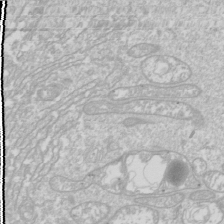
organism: Drosophila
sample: Cell division; meiosis; drosophila spermatocytes